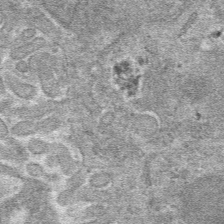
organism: Mouse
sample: Mouse hepatocytes